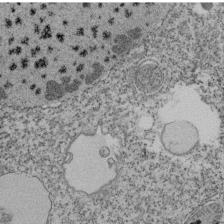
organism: Tetrahymena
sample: Cilia in tetrahymena